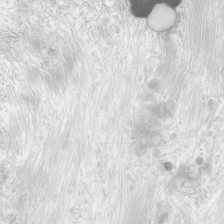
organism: Human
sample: Neocortex